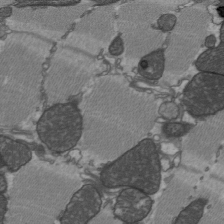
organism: C57BL Mouse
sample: Heart